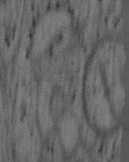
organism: Human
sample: HeLa cells